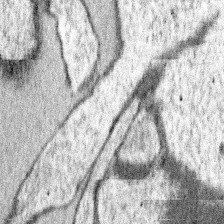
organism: Human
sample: HeLa cells